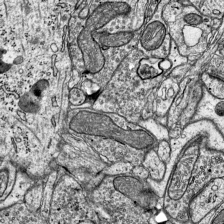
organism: Mouse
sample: Visual Cortex